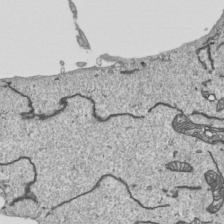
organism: Human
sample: Mitochondria in HCT116 cells